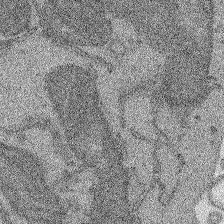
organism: Human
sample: HeLa cells